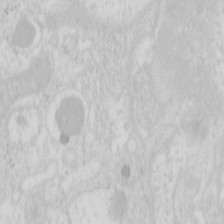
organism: Mouse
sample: Pancreas